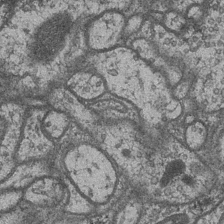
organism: Drosophila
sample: Optic medulla